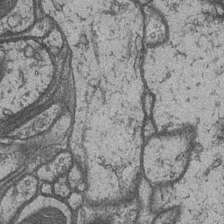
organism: Drosophila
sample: Optic medulla